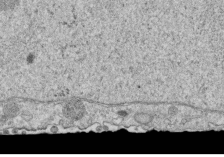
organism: Human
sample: HeLa cell HIV synapse